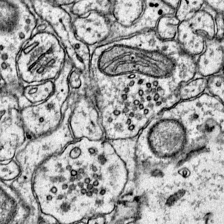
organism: Mouse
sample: Primary visual cortex